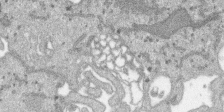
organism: Human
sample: Lung epithelial cells infected with SARS-CoV-2